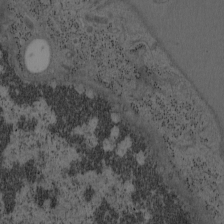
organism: Mouse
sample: OT-I killer T cells with ID8 ovarian cancer cells